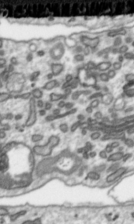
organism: Toxoplasma gondii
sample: Parasites in a vacuole inside a host cell